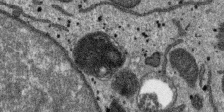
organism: Human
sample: Lung epithelial cells, uninfected (mock) control